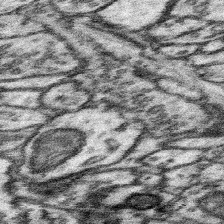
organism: Mouse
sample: Somatosensory cortex neuropil